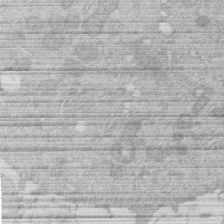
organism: Human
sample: Macrophage cells